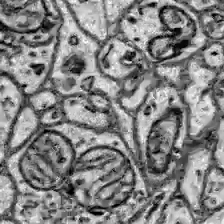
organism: Zebrafish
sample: Brain